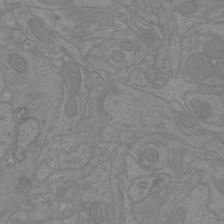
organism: Mouse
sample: Cortical neurons